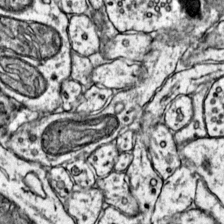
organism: Mouse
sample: Primary visual cortex